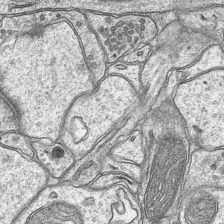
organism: Mouse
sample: CA1 Hippocampus